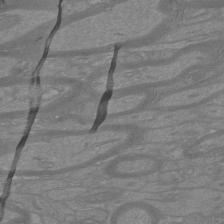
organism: Mouse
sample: Cortical neurons